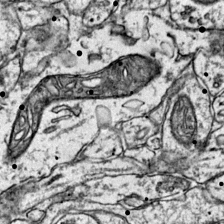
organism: Mouse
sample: Primary visual cortex